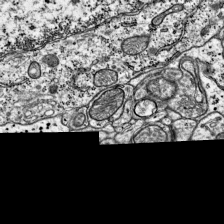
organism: Mouse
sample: Visual Cortex